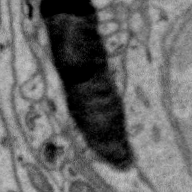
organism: Zebra finch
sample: Brain